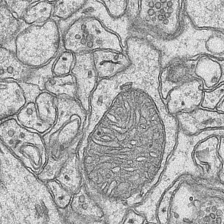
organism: Mouse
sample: CA1 Hippocampus